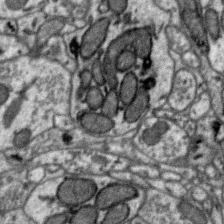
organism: Zebra finch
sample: Brain